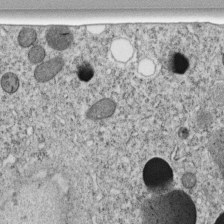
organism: C. elegans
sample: C. elegans embryo early stage